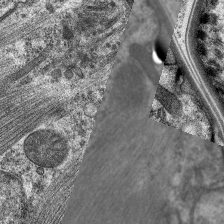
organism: C. elegans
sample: Pharynx